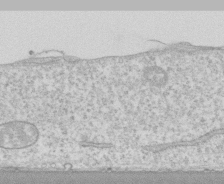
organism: Human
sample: CRL-1474